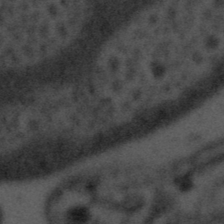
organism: Tuwongella immobilis